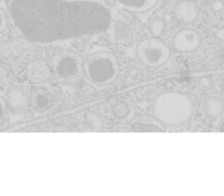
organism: Mouse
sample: Pancreas